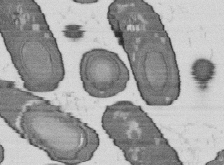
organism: B. subtilis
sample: Bacterial spore